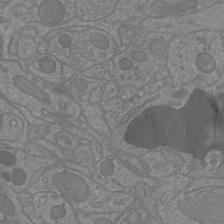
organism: Mouse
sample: Cortical neurons